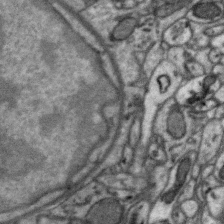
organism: Zebra finch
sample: Brain